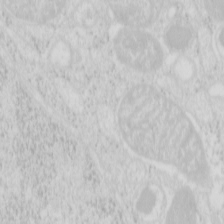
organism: Mouse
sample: Pancreas